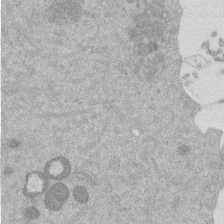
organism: Mouse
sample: Dividing mouse embryo 1 cell stage